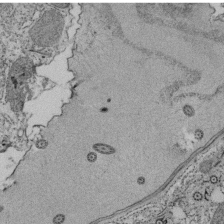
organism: Tetrahymena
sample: Cilia in tetrahymena